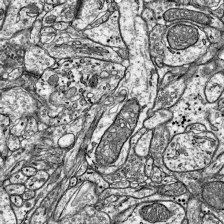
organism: Mouse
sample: Visual Cortex